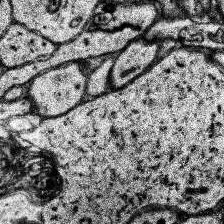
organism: Human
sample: Temporal Lobe